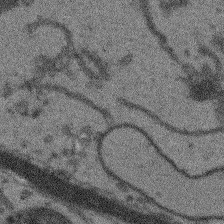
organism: Arabidopsis thaliana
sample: Root tip